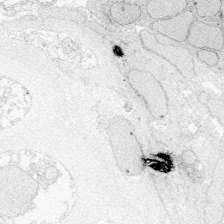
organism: Zebrafish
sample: Whole-Brain